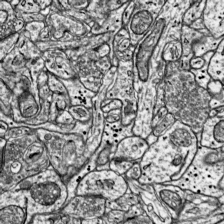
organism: Mouse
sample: Visual Cortex